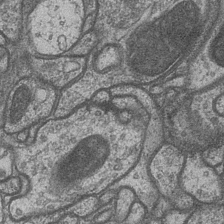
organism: Drosophila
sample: Optic medulla